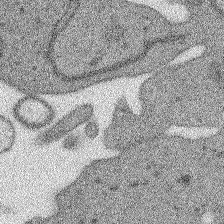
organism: Human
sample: HeLa cells